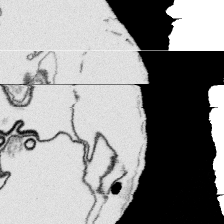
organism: Platynereis dumerilii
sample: Parapodia